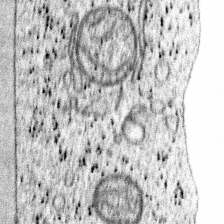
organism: Human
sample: HeLa cells